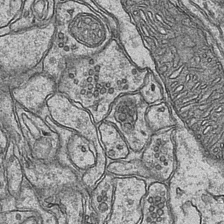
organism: Mouse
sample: CA1 Hippocampus